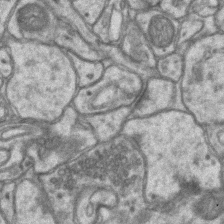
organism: Mouse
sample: CA1 Hippocampus